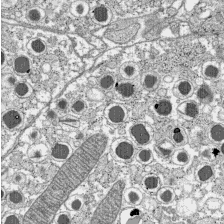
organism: C57BL Mouse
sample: Pancreatic islet